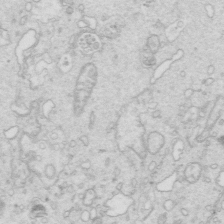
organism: Mouse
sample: Multiciliated cells